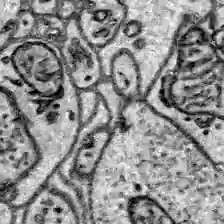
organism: Zebrafish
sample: Brain